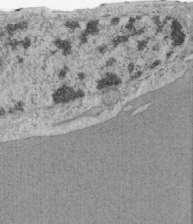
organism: Human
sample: HeLa cells